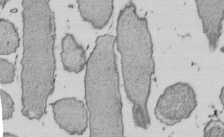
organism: E. coli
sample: Bacterial nucleoid